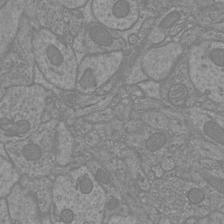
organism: Mouse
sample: Cortical neurons